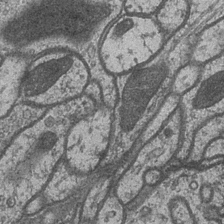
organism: Drosophila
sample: Optic medulla